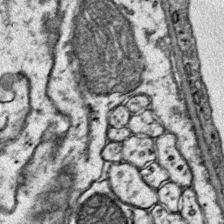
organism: Mouse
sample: Primary visual cortex